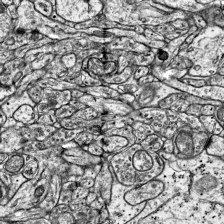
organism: Mouse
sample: Visual Cortex